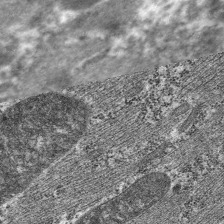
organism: C. elegans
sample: Pharynx